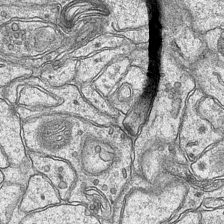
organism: Mouse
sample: CA1 Hippocampus